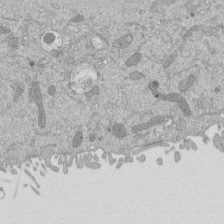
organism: Mouse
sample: ED-1 cell nuclei; centrioles